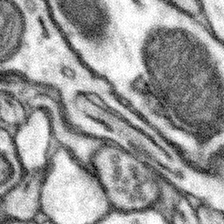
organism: Mouse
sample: Somatosensory cortex neuropil